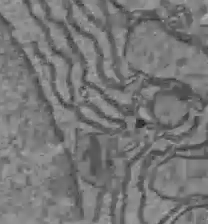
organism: C57BL Mouse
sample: Liver